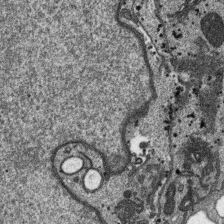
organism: Human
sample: Lung epithelial cells infected with SARS-CoV-2